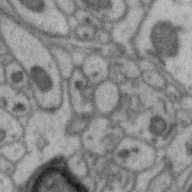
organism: Zebra finch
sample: Brain